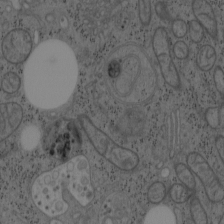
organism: Mouse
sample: OT-I killer T cells with ID8 ovarian cancer cells